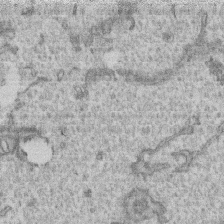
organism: Human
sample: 1205lu cells